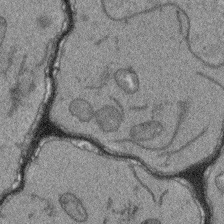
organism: Arabidopsis thaliana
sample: Root tip